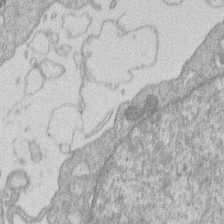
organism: Human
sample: Macrophage cells